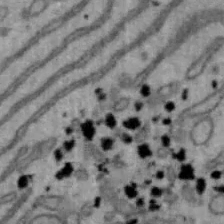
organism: Mouse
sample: Liver